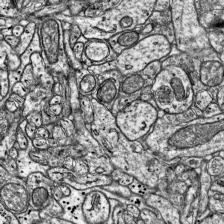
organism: Mouse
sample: Visual Cortex